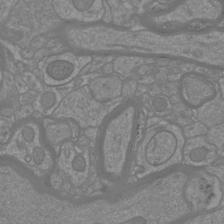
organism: Mouse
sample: Cortical neurons